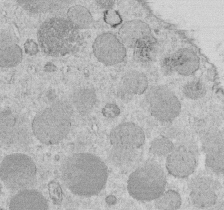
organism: C. elegans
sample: C. elegans embryo early stage